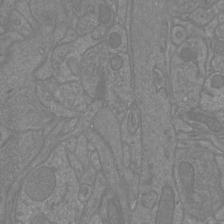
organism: Mouse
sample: Cortical neurons